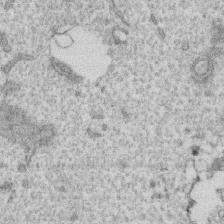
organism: Human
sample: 1205lu cells